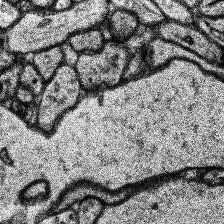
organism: Human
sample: Temporal Lobe